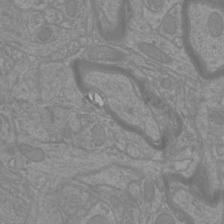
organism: Mouse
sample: Cortical neurons